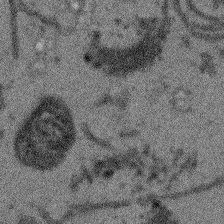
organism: Arabidopsis thaliana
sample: Root tip